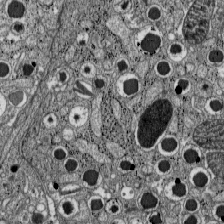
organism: C57BL Mouse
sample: Pancreatic islet